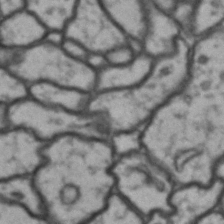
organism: Drosophila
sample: Brain